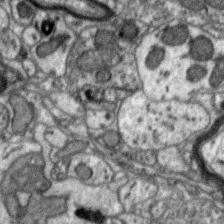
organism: Zebra finch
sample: Brain